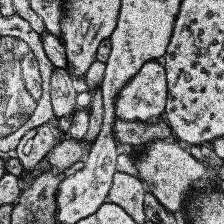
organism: Human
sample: Temporal Lobe